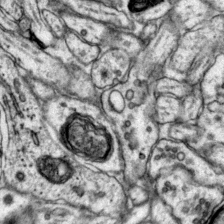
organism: Mouse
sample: Primary visual cortex